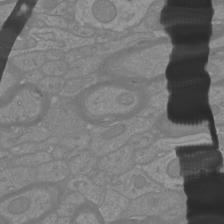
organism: Mouse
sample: Cortical neurons